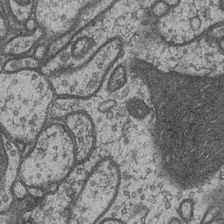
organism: Drosophila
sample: Optic medulla